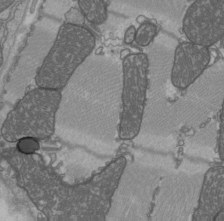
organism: C57BL Mouse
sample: Heart